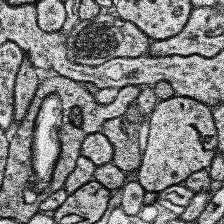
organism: Human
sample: Temporal Lobe